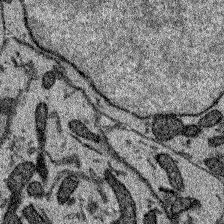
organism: Zebrafish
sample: Larval olfactory bulb